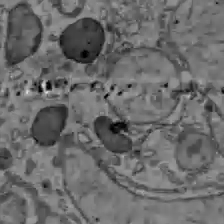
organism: C57BL Mouse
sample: Liver